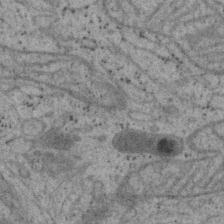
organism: Human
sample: HeLa cells